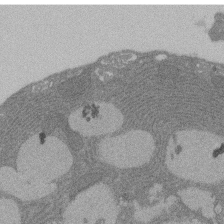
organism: Rat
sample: Salivary granule